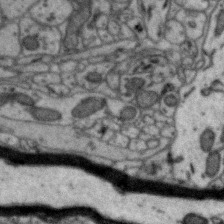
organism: Zebra finch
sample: Brain